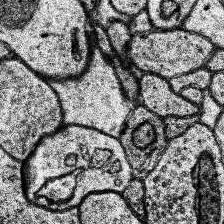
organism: Human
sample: Temporal Lobe